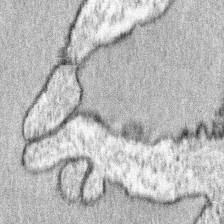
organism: Human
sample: HeLa cells